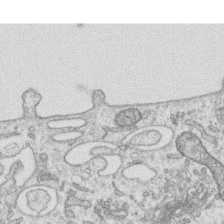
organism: Human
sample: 1205lu cells